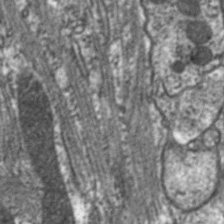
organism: C. elegans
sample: Pharynx